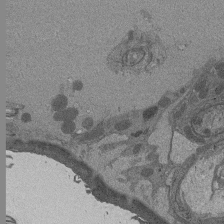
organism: Drosophila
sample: Antenna